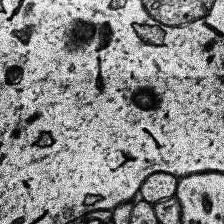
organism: Human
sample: Temporal Lobe